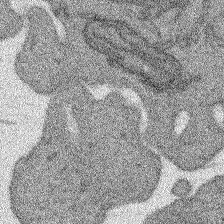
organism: Human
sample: HeLa cells